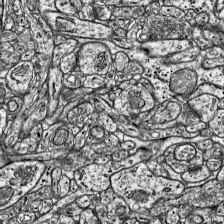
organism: Mouse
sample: Visual Cortex